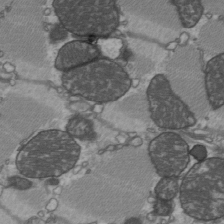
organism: C57BL Mouse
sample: Heart